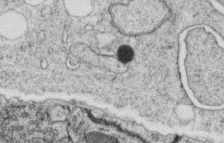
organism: C. elegans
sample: C. elegans oocyte; sperm cells